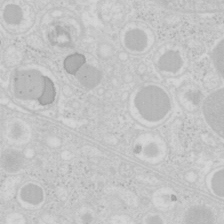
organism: Mouse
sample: Pancreas